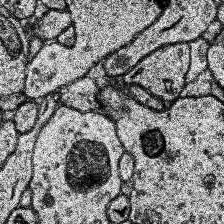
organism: Human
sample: Temporal Lobe